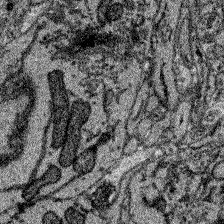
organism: Zebrafish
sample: Larval olfactory bulb